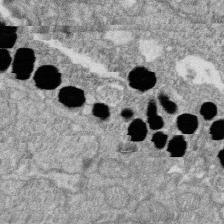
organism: Zebrafish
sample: Cilia; retinal pigment epithelium